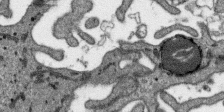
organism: Human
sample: Lung epithelial cells, uninfected (mock) control